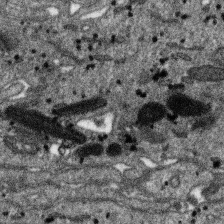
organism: Human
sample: Lung epithelial cells infected with SARS-CoV-2